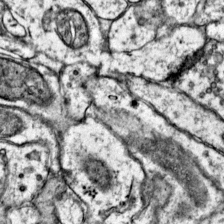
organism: Mouse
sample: Primary visual cortex